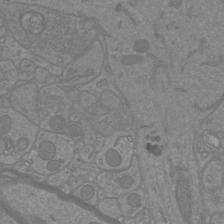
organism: Mouse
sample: Cortical neurons